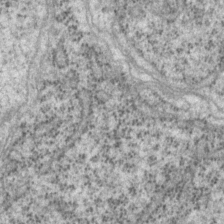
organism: P. pacificus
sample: Pharynx